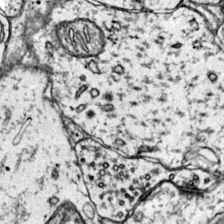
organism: Mouse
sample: Primary visual cortex